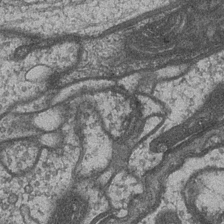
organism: Drosophila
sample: Optic medulla